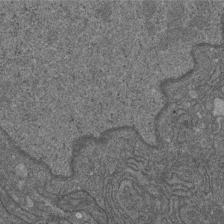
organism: Drosophila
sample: Nephrocyte